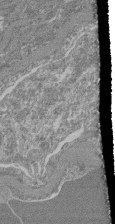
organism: Mouse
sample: Glomerulus